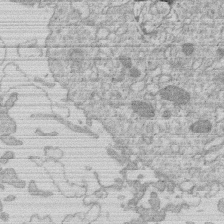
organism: Human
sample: Macrophage cells